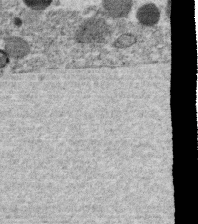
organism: C. elegans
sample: C. elegans oocyte; sperm cells